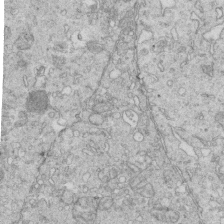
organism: Mouse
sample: Multiciliated cells